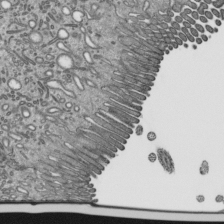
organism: Mouse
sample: Mouse epididymis efferent ductule cilia